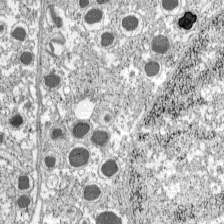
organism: C57BL Mouse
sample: Pancreatic islet